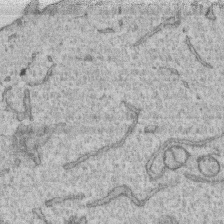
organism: Human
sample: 1205lu cells